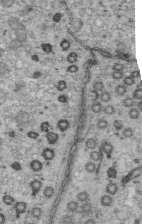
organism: Mouse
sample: Multiciliated cells